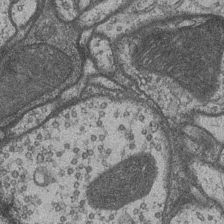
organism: Drosophila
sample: Optic medulla